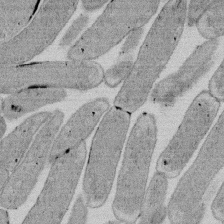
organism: E. coli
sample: Bacterial nucleoid